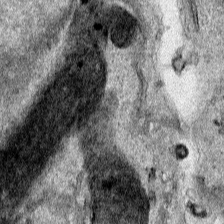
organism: Human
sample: Mitochondria in HCT116 cells